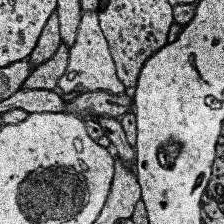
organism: Human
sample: Temporal Lobe